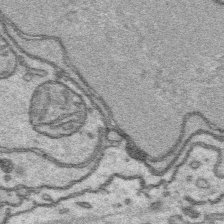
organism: Platynereis dumerilii